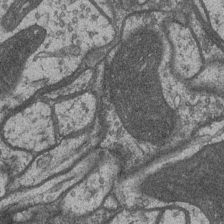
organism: Drosophila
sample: Optic medulla